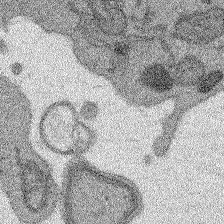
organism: Human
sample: HeLa cells